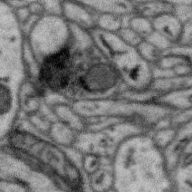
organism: Zebra finch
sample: Brain